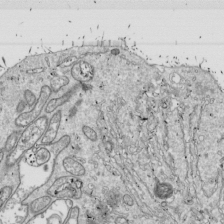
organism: Drosophila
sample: Cell division; meiosis; drosophila spermatocytes